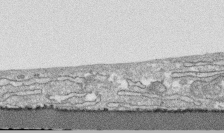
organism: Human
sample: CRL-1474